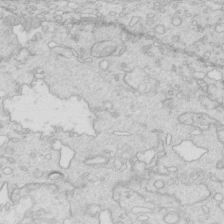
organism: Mouse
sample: Multiciliated cells